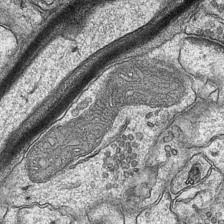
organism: Mouse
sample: CA1 Hippocampus